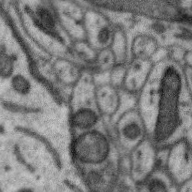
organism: Zebra finch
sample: Brain